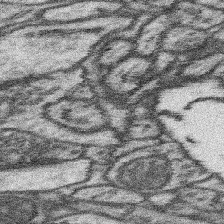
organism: Mouse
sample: Somatosensory cortex neuropil